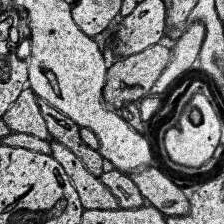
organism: Human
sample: Temporal Lobe